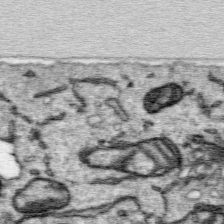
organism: Human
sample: HeLa cells